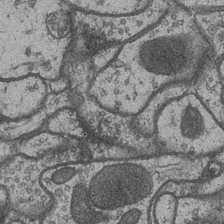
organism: Drosophila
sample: Optic medulla